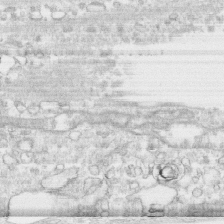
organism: Human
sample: CRL-1474